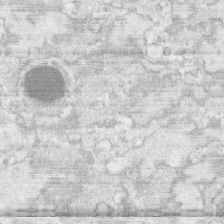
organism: Human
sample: CRL-1474